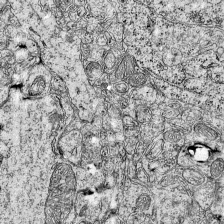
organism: Mouse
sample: Visual Cortex